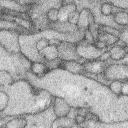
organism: Rabbit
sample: Retina